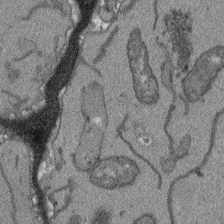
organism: Arabidopsis thaliana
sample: Root tip